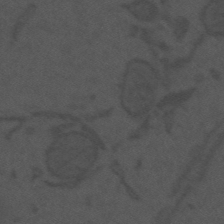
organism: Mouse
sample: Suprachiasmatic nucleus